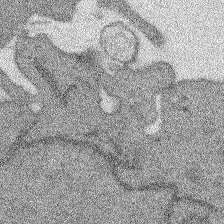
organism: Human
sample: HeLa cells